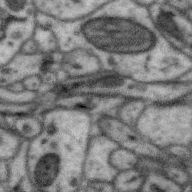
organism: Zebra finch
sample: Brain